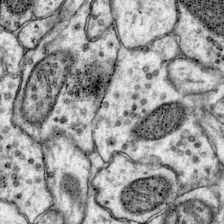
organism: Mouse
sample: Primary visual cortex